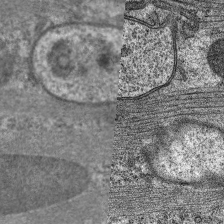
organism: C. elegans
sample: Pharynx